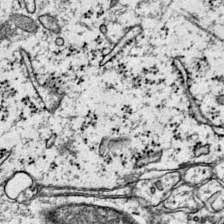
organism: Mouse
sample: Primary visual cortex